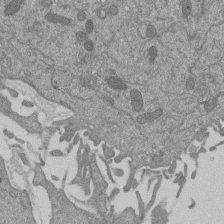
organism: Mouse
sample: ED-1 cell nuclei; centrioles